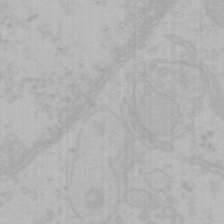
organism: Mouse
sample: Choroid plexus